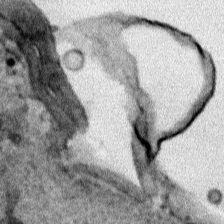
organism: Human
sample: Mitochondria in HCT116 cells